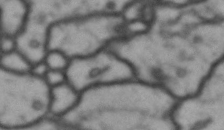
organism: Drosophila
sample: Brain